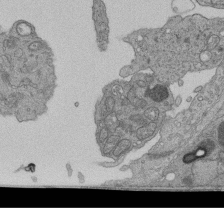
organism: Human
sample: Retinal organoid Rod and Cone cells